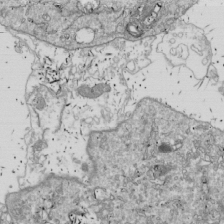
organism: Drosophila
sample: Cell division; meiosis; drosophila spermatocytes